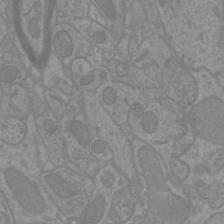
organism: Mouse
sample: Cortical neurons